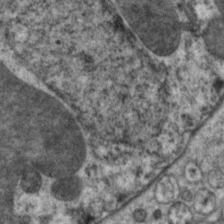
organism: C. elegans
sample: Pharynx